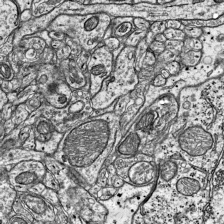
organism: Mouse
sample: Visual Cortex